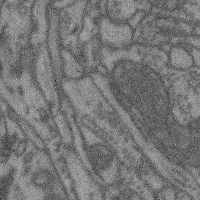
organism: Mouse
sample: Cerebral cortex